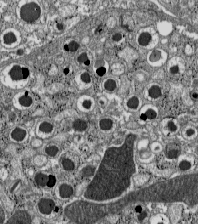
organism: C57BL Mouse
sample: Pancreatic islet